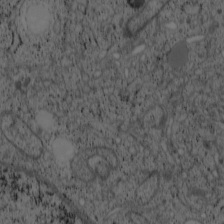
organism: African green monkey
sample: COS-7 cells